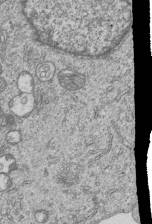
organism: Human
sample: MDA-MB-231 cells